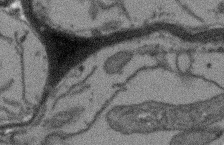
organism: Arabidopsis thaliana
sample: Root tip